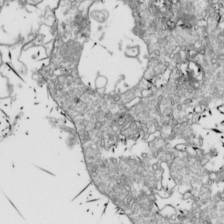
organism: Drosophila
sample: Cell division; meiosis; drosophila spermatocytes